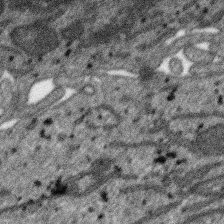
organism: Human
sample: Lung epithelial cells infected with SARS-CoV-2